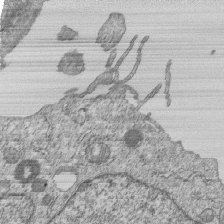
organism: Human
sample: MDA-MB-231 cells